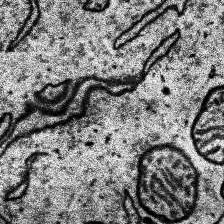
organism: Human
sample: Temporal Lobe